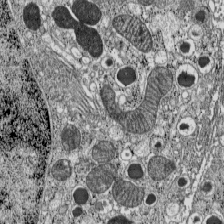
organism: C57BL Mouse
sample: Pancreatic islet